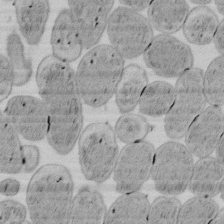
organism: E. coli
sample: Bacterial nucleoid